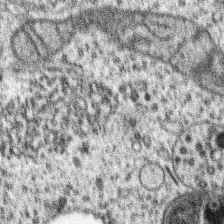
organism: Human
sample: HeLa cells